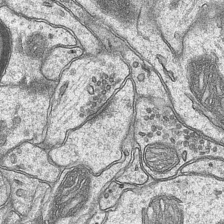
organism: Mouse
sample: CA1 Hippocampus